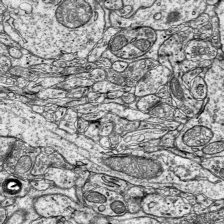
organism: Mouse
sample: Visual Cortex